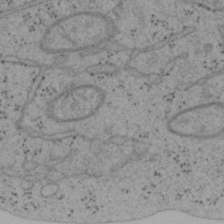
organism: Human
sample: HeLa cells